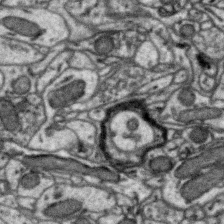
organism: Zebra finch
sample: Brain